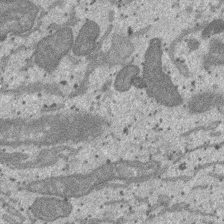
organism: Human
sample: Lung epithelial cells infected with SARS-CoV-2